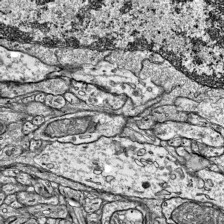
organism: Mouse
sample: Visual Cortex